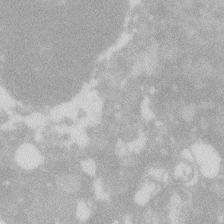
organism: Zebrafish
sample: Macrophage